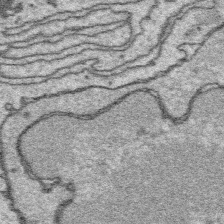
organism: Platynereis dumerilii